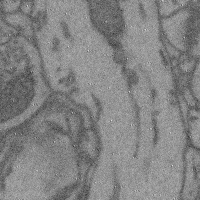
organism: Mouse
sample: Cerebral cortex